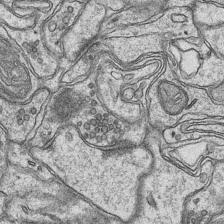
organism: Mouse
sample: CA1 Hippocampus